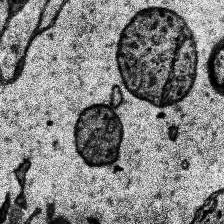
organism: Human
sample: Temporal Lobe